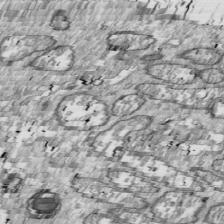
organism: Drosophila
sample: Cell division; meiosis; drosophila spermatocytes